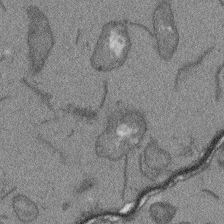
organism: Arabidopsis thaliana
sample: Root tip